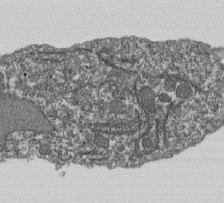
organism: Dictyostelium discoideum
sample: Dictyostelium multivesicular bodies